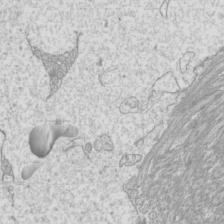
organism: Mouse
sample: Cilia; mouse epididymis